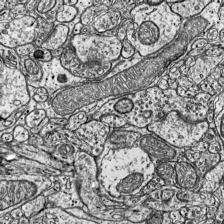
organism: Mouse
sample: Visual Cortex